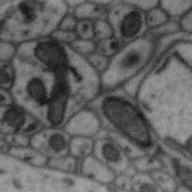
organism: Zebra finch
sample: Brain